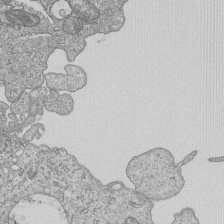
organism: Human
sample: MDA-MB-231 cells